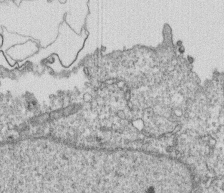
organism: Human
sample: HeLa cell HIV synapse